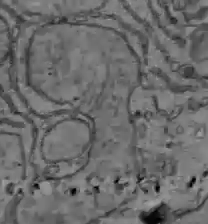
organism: C57BL Mouse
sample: Liver